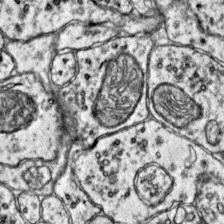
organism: Mouse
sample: Primary visual cortex